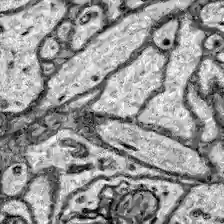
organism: Zebrafish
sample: Brain